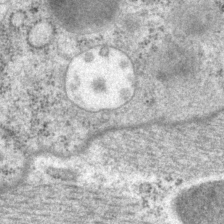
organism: P. pacificus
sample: Pharynx